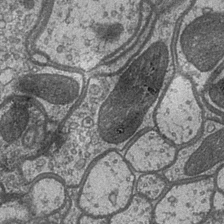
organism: Drosophila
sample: Optic medulla